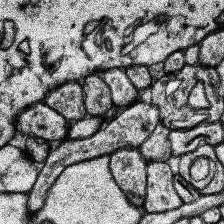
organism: Human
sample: Temporal Lobe